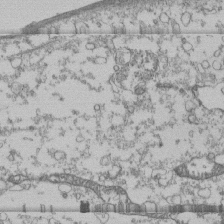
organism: Human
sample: Fibroblast cells